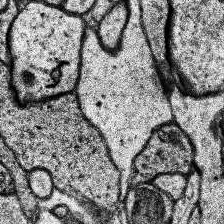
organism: Human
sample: Temporal Lobe